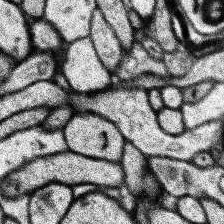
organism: Human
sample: Temporal Lobe